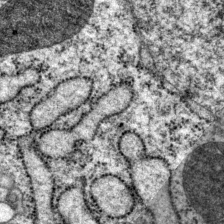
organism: P. pacificus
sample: Pharynx